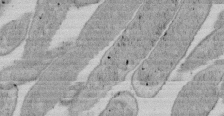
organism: E. coli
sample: Bacterial nucleoid